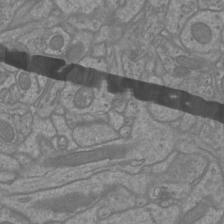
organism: Mouse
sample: Cortical neurons